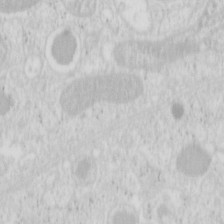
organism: Mouse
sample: Pancreas